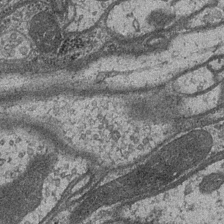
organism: Drosophila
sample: Optic medulla